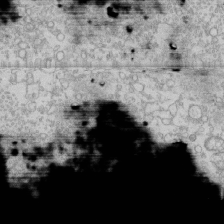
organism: Human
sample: CRL-1474